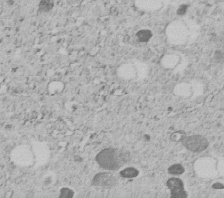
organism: C. elegans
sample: C. elegans embryo early stage